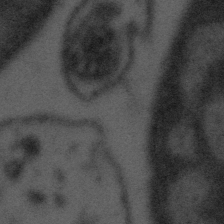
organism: Tuwongella immobilis